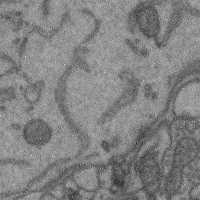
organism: Mouse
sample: Cerebral cortex